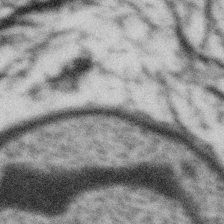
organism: Gemmata obscuriglobus